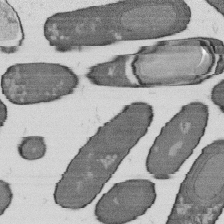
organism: B. subtilis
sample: Bacterial spore